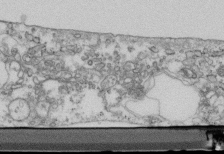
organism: Mouse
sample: Cilia; retinal pigment epithelium